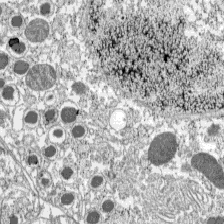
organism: C57BL Mouse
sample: Pancreatic islet